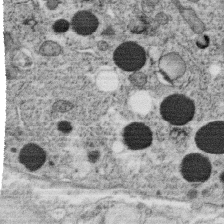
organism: C. elegans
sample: C. elegans oocyte; sperm cells